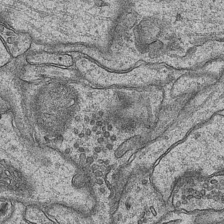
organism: Mouse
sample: CA1 Hippocampus